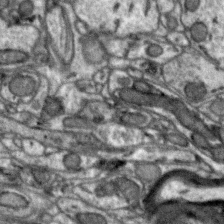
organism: Zebra finch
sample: Brain